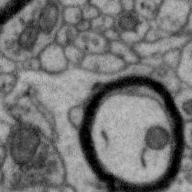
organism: Zebra finch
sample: Brain